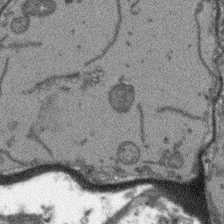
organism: Arabidopsis thaliana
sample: Root tip